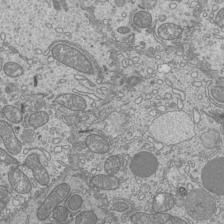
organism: Mouse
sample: Cilia; mouse epididymis